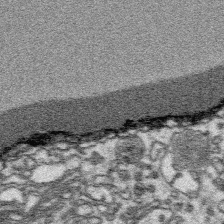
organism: Platynereis dumerilii